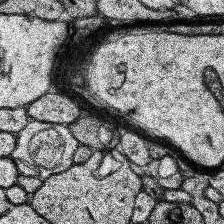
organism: Human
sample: Temporal Lobe